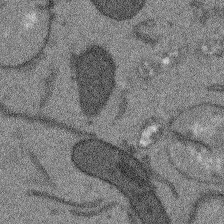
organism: Arabidopsis thaliana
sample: Root tip